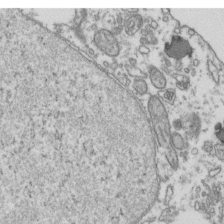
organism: Human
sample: Activated Jurkat CD4+ T cells